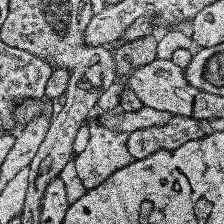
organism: Human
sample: Temporal Lobe